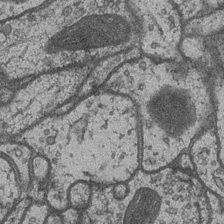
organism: Drosophila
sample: Optic medulla